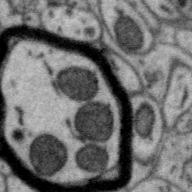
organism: Zebra finch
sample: Brain